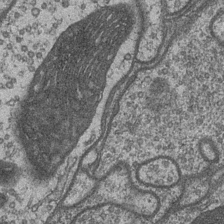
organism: Drosophila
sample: Optic medulla